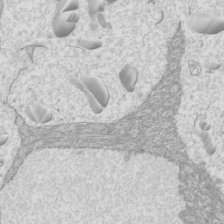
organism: Mouse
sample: Cilia; mouse epididymis